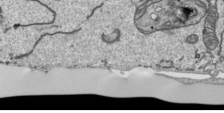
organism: Human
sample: Mitochondria in HCT116 cells